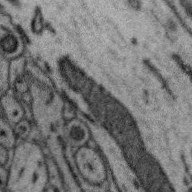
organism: Zebra finch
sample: Brain